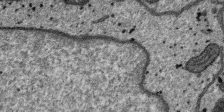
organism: Human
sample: Lung epithelial cells, uninfected (mock) control